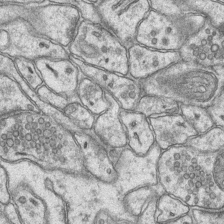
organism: Mouse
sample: CA1 Hippocampus